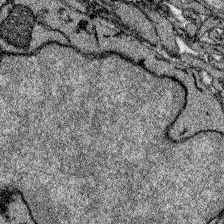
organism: Zebrafish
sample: Larval olfactory bulb